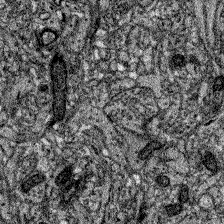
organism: Zebrafish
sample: Larval olfactory bulb